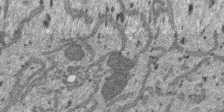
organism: Human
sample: Lung epithelial cells infected with SARS-CoV-2